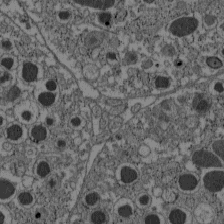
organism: C57BL Mouse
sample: Pancreatic islet